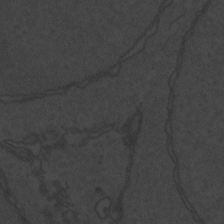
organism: Zebrafish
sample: Macrophage infected with Toxoplasma gondii